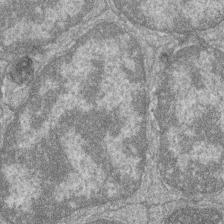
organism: Zebrafish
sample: Cilia; retinal pigment epithelium